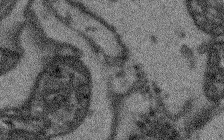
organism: Arabidopsis thaliana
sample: Root tip